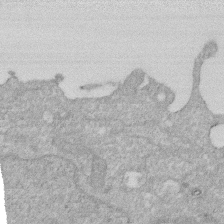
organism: Human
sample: HIV infected U937 cells